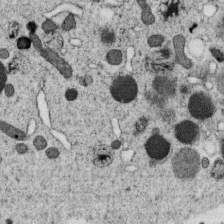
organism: C. elegans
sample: C. elegans oocyte; sperm cells